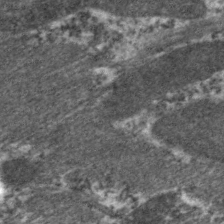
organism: C. elegans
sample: Pharynx